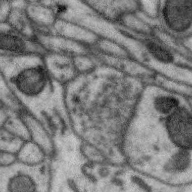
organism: Zebra finch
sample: Brain